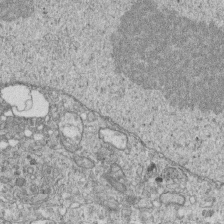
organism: Human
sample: HeLa cell HIV synapse